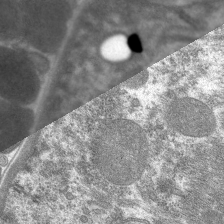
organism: C. elegans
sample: Pharynx